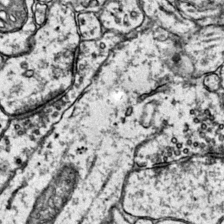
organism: Mouse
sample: Primary visual cortex